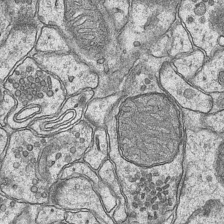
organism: Mouse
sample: CA1 Hippocampus